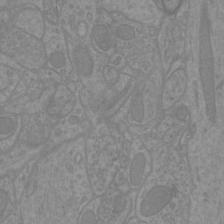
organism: Mouse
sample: Cortical neurons